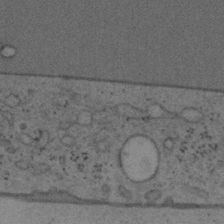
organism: Human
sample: HeLa cells